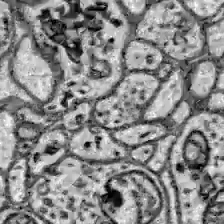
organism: Zebrafish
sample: Brain